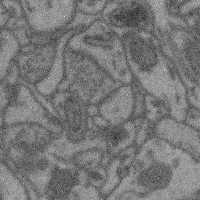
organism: Mouse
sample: Cerebral cortex